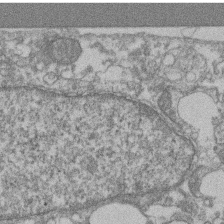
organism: Mouse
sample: T cell stromal cell synapse